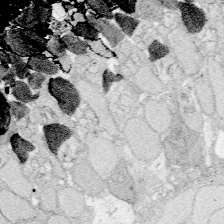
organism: Zebrafish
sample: Whole-Brain